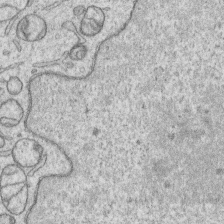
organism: Human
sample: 1205lu cells